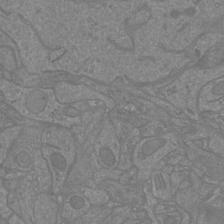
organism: Mouse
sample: Cortical neurons